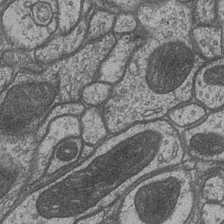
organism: Drosophila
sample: Optic medulla